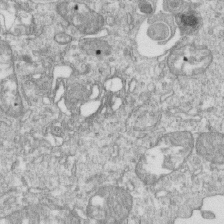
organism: Mouse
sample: Activated OT-1 CD8+ T cells